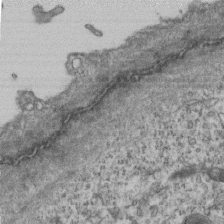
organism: Mouse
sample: Centriole in ependymal cells